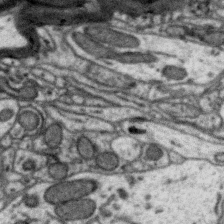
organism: Zebra finch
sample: Brain